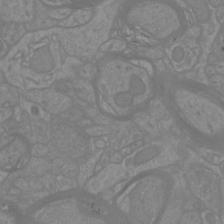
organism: Mouse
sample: Cortical neurons